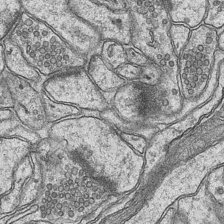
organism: Mouse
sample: CA1 Hippocampus